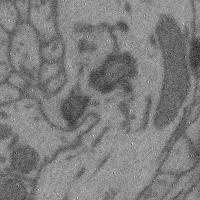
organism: Mouse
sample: Cerebral cortex